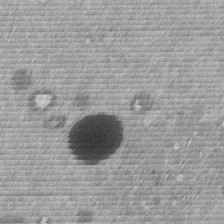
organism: Mouse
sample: Dividing mouse embryo 1 cell stage